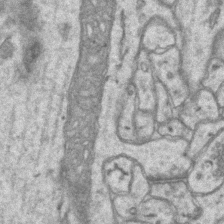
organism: Mouse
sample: CA1 Hippocampus